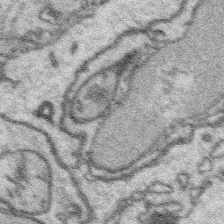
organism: Platynereis dumerilii